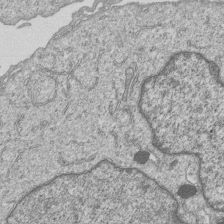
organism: Human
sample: MDA-MB-231 cells